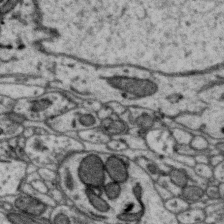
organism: Zebra finch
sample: Brain